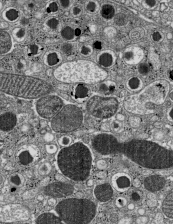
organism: C57BL Mouse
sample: Pancreatic islet